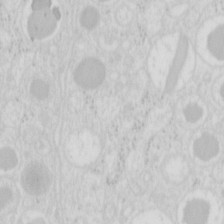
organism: Mouse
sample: Pancreas